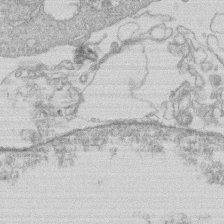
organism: Human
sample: Macrophage cells